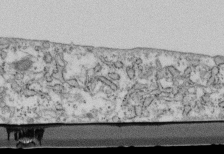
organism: Mouse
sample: Cilia; retinal pigment epithelium